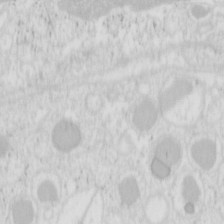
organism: Mouse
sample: Pancreas